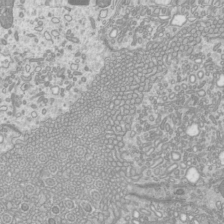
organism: Mouse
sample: Cilia; mouse epididymis